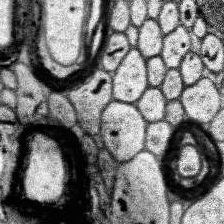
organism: Human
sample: Temporal Lobe